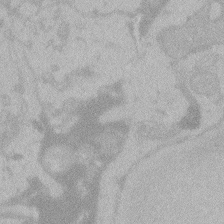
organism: Zebrafish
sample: Macrophage infected with Toxoplasma gondii